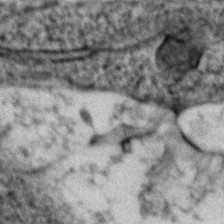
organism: Zebrafish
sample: Zebrafish embryo